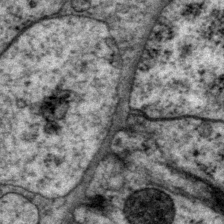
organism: P. pacificus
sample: Pharynx